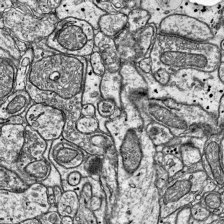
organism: Mouse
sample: Visual Cortex